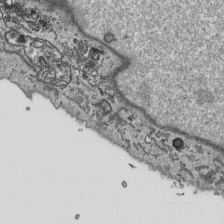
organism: Human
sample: Mitochondria in HCT116 cells